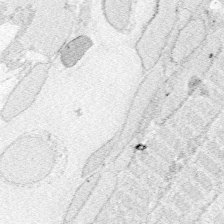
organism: Zebrafish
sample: Whole-Brain